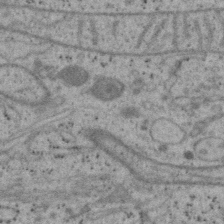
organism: Human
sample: HeLa cells